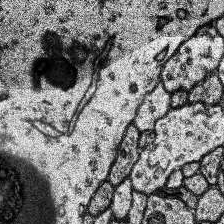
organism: Human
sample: Temporal Lobe